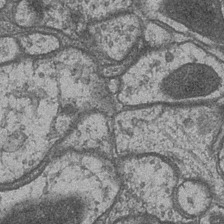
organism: Drosophila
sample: Optic medulla